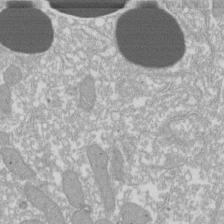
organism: Xenopus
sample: Cilia; centrioles in frog embryo cells